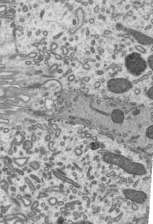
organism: Mouse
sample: Mouse epididymis efferent ductule cilia